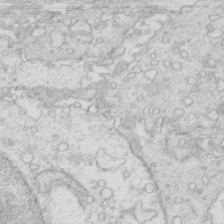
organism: Mouse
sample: Multiciliated cells